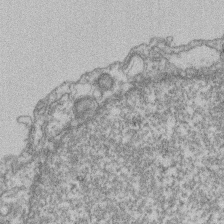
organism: Mouse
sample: T cell stromal cell synapse